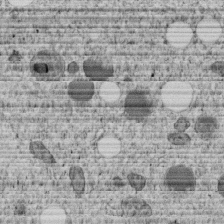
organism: C. elegans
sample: C. elegans embryo early stage